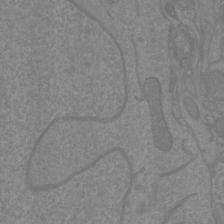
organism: Mouse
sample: Cortical neurons